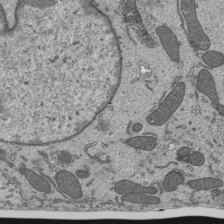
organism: Mouse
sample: Mouse epididymis efferent ductule cilia